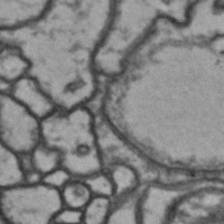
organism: Drosophila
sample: Brain